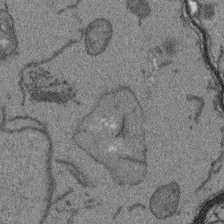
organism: Arabidopsis thaliana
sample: Root tip